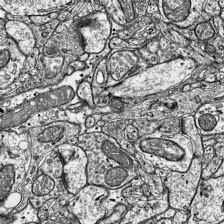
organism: Mouse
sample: Visual Cortex